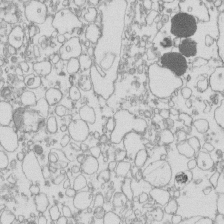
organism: Mouse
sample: Macrophages